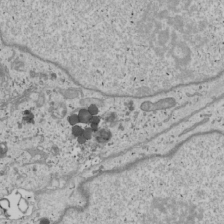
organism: Human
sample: Mitochondria in U2OS cells